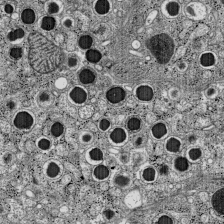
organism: C57BL Mouse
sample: Pancreatic islet